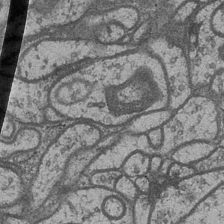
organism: Drosophila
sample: Optic medulla